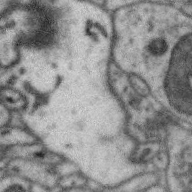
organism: Zebra finch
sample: Brain